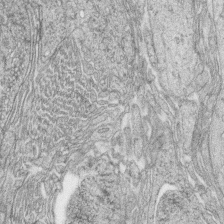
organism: Zebrafish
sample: synaptic ribbons in rod cells and cone cells